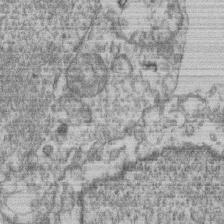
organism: Mouse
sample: T cell stromal cell synapse